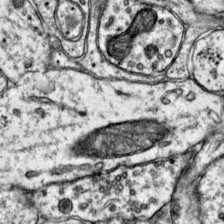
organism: Mouse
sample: Primary visual cortex